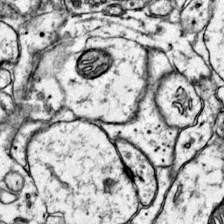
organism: Mouse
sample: Primary visual cortex